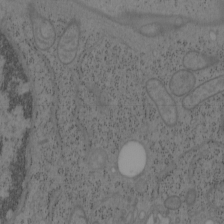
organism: Mouse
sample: OT-I killer T cells with ID8 ovarian cancer cells